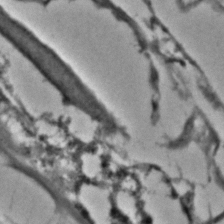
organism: C. elegans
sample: C. elegans embryo